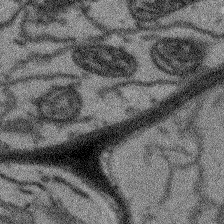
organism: Arabidopsis thaliana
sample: Root tip